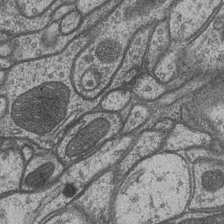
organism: Drosophila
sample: Optic medulla